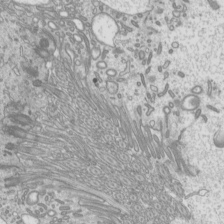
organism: Mouse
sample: Cilia; mouse epididymis